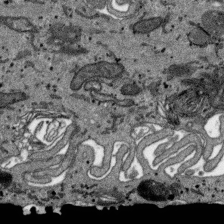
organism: Human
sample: Lung epithelial cells, uninfected (mock) control